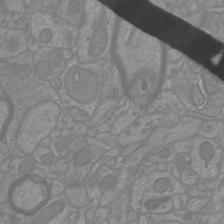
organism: Mouse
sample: Cortical neurons